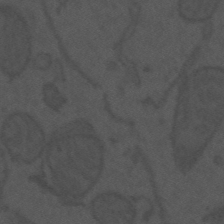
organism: Mouse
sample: Suprachiasmatic nucleus